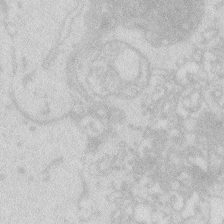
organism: Zebrafish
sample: Macrophage